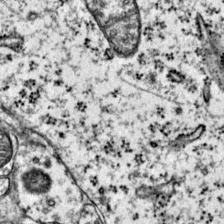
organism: Mouse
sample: Primary visual cortex